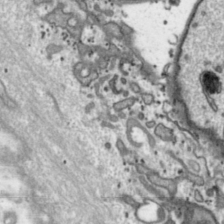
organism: Toxoplasma gondii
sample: Parasites in a vacuole inside a host cell